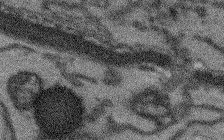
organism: Arabidopsis thaliana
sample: Root tip